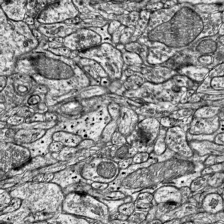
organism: Mouse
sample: Visual Cortex